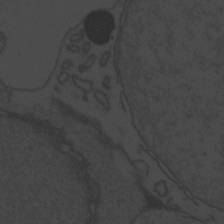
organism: Zebrafish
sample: Macrophage infected with Toxoplasma gondii